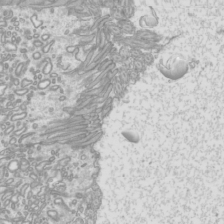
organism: Mouse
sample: Cilia; mouse epididymis